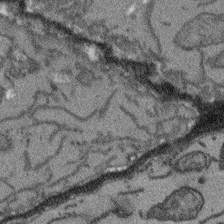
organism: Arabidopsis thaliana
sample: Root tip